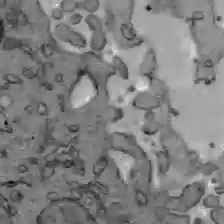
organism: C57BL Mouse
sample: Liver